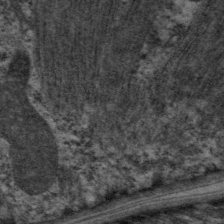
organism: C. elegans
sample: Pharynx